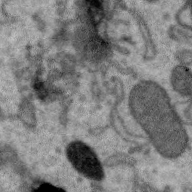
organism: Zebra finch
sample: Brain